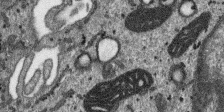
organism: Human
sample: Lung epithelial cells infected with SARS-CoV-2